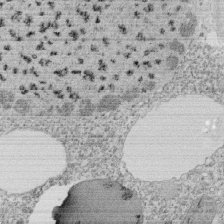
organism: Tetrahymena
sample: Cilia in tetrahymena